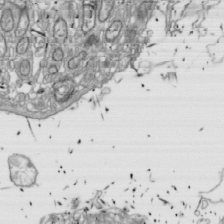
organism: Drosophila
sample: Cell division; meiosis; drosophila spermatocytes